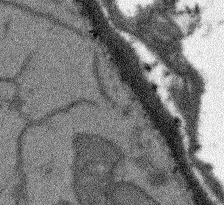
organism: Arabidopsis thaliana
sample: Root tip